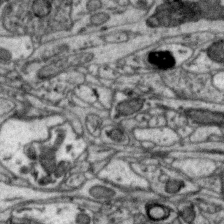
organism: Zebra finch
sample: Brain